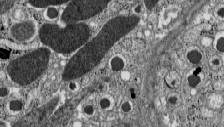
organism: C57BL Mouse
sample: Pancreatic islet